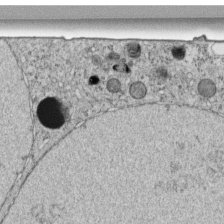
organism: C. elegans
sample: C. elegans embryo early stage